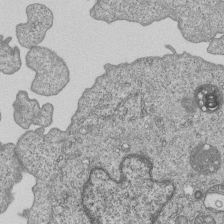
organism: Human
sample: MDA-MB-231 cells